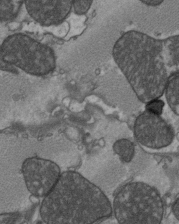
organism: C57BL Mouse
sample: Heart